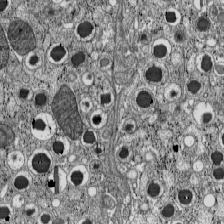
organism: C57BL Mouse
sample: Pancreatic islet